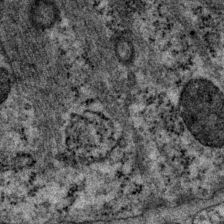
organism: P. pacificus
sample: Pharynx